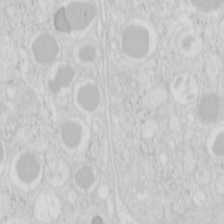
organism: Mouse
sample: Pancreas